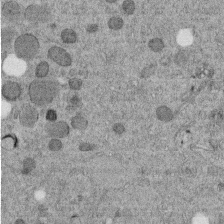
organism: C. elegans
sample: C. elegans embryo early stage